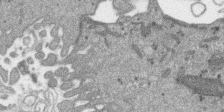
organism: Human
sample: Lung epithelial cells infected with SARS-CoV-2